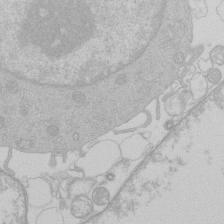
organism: Human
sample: Macrophage cells